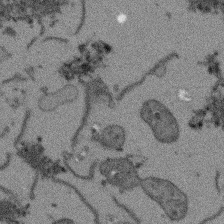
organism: Arabidopsis thaliana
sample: Root tip